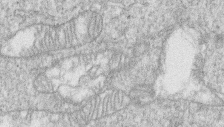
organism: Human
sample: HeLa cell HIV synapse